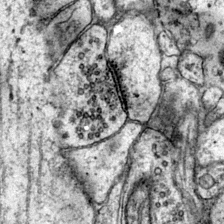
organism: Mouse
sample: Primary visual cortex